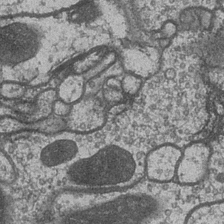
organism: Drosophila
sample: Optic medulla